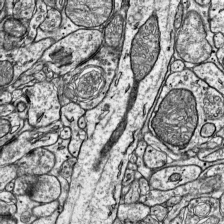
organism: Mouse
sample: Visual Cortex